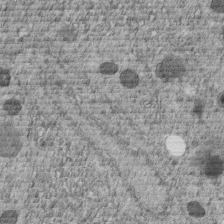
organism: C. elegans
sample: C. elegans embryo early stage